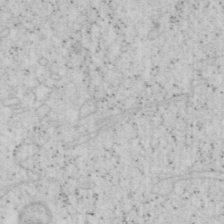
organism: Human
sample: HeLa cells